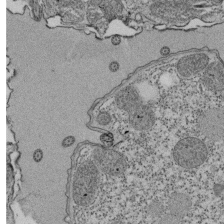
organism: Tetrahymena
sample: Cilia in tetrahymena